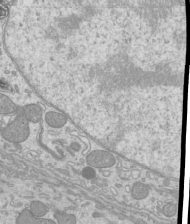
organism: Mouse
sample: Cilia; mouse epididymis